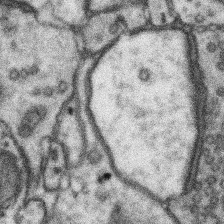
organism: Mouse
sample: Somatosensory cortex neuropil